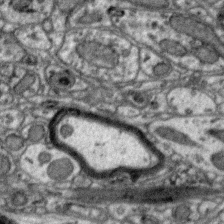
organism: Zebra finch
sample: Brain